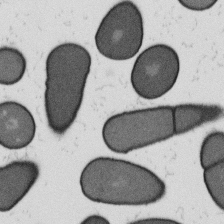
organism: B. subtilis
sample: Bacterial spore